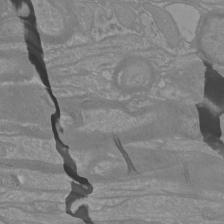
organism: Mouse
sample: Cortical neurons